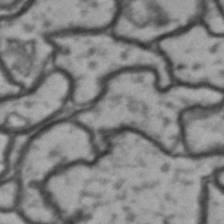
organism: Drosophila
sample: Brain